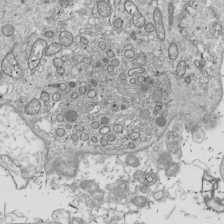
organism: Drosophila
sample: Cell division; meiosis; drosophila spermatocytes